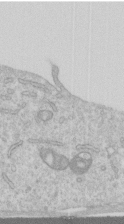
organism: Human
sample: Centriole in RPE cells